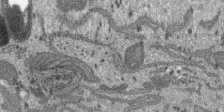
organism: Human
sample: Lung epithelial cells infected with SARS-CoV-2